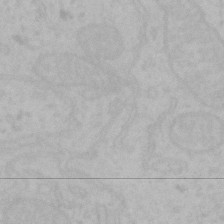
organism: Mouse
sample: Choroid plexus